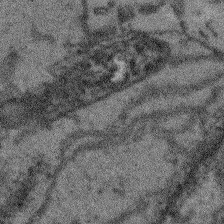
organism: Arabidopsis thaliana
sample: Root tip